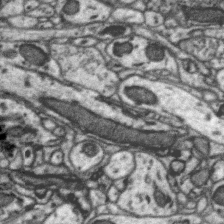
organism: Zebra finch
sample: Brain